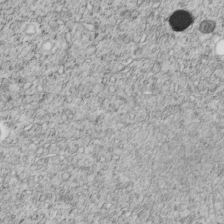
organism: C. elegans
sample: C. elegans embryo early stage